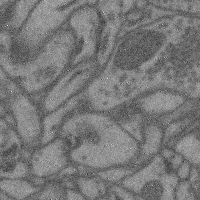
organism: Mouse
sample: Cerebral cortex